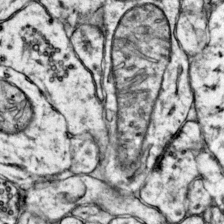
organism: Mouse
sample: Primary visual cortex